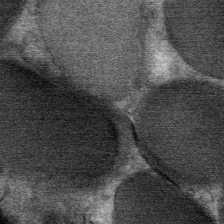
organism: Mouse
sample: Mouse Salivary gland